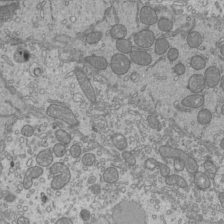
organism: Mouse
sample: Cilia; mouse epididymis